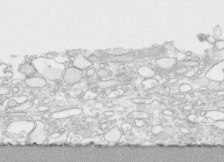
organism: Human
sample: CRL-1474